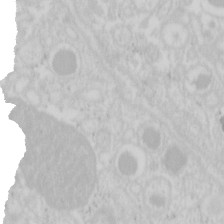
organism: Mouse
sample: Pancreas